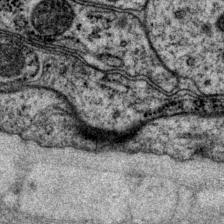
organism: P. pacificus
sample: Pharynx